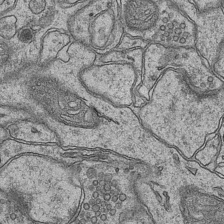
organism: Mouse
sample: CA1 Hippocampus